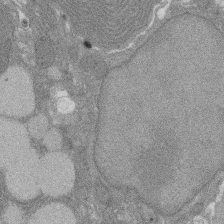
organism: Rat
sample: Salivary granule